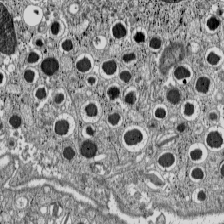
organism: C57BL Mouse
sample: Pancreatic islet